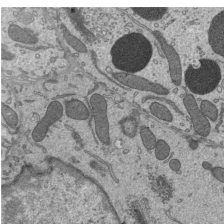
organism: Mouse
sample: Mouse epididymis efferent ductule cilia